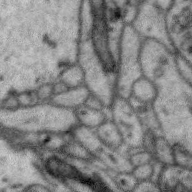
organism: Zebra finch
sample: Brain